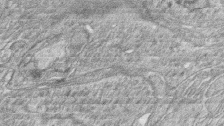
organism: Zebrafish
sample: synaptic ribbons in rod cells and cone cells